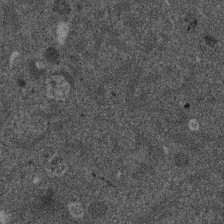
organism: Mouse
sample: Dividing mouse embryo 1 cell stage